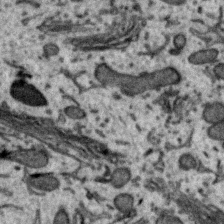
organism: Zebra finch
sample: Brain